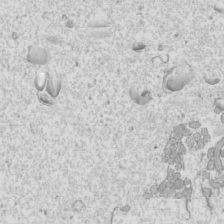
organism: Mouse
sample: Cilia; mouse epididymis